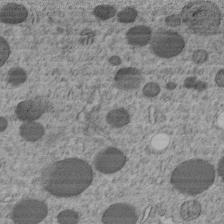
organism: C. elegans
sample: C. elegans embryo early stage